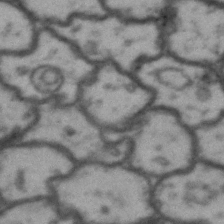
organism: Drosophila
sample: Brain